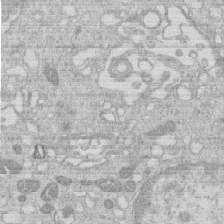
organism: Human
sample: Macrophage cells